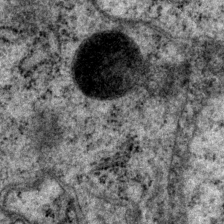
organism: P. pacificus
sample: Pharynx